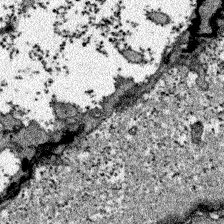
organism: Zebrafish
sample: Larval olfactory bulb